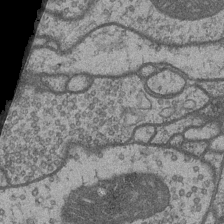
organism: Drosophila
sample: Optic medulla